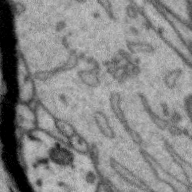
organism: Zebra finch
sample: Brain